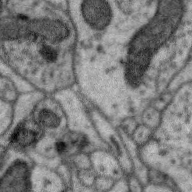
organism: Zebra finch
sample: Brain